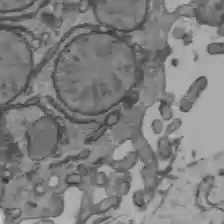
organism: C57BL Mouse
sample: Liver